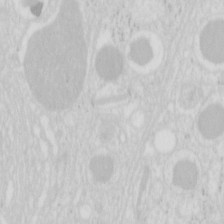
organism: Mouse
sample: Pancreas